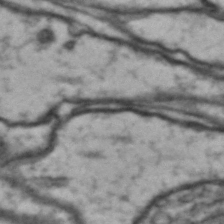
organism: Drosophila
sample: Brain